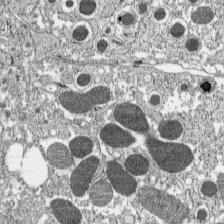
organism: C57BL Mouse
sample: Pancreatic islet